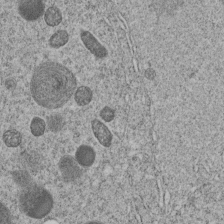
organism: C. elegans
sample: C. elegans embryo early stage